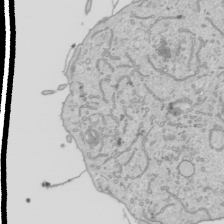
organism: Human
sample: Mitochondria in HCT116 cells